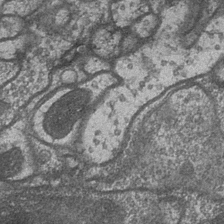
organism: Drosophila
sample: Optic medulla